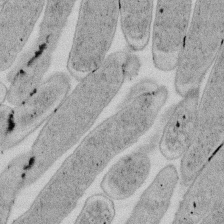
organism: E. coli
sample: Bacterial nucleoid